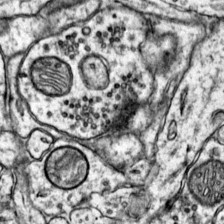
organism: Mouse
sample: Primary visual cortex